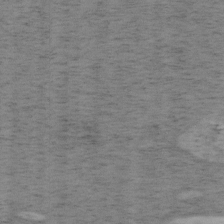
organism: Mouse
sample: OT-I killer T cells with ID8 ovarian cancer cells